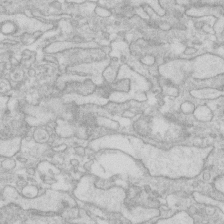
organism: Human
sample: Fibroblast cells